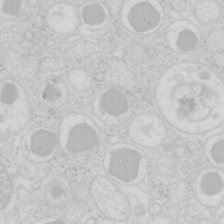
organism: Mouse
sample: Pancreas